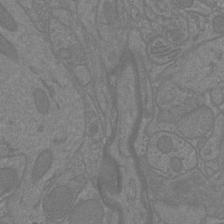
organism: Mouse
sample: Cortical neurons